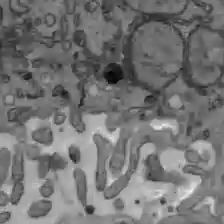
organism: C57BL Mouse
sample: Liver